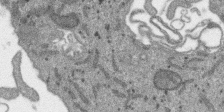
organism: Human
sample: Lung epithelial cells infected with SARS-CoV-2